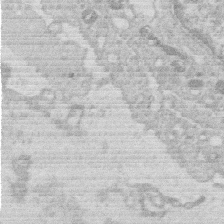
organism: Human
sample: Macrophage cells